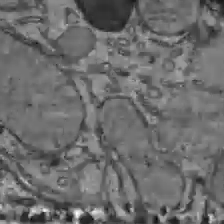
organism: C57BL Mouse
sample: Liver